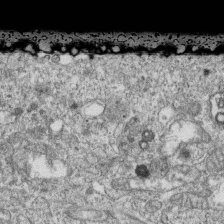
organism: Human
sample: HeLa cell HIV synapse